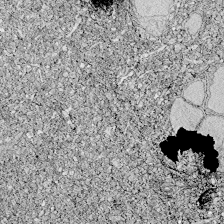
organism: Zebrafish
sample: Whole-Brain